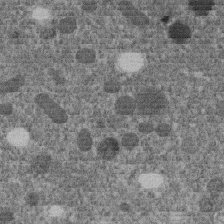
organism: C. elegans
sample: C. elegans embryo early stage